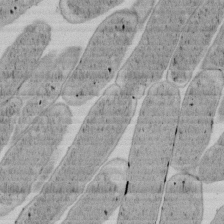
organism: E. coli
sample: Bacterial nucleoid